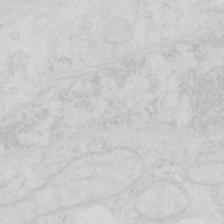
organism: Human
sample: SUM-159 cell